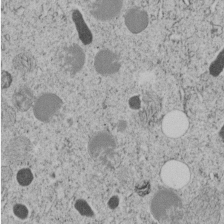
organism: C. elegans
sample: C. elegans embryo early stage